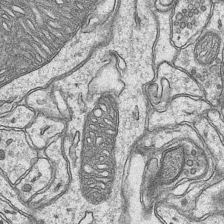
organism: Mouse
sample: CA1 Hippocampus